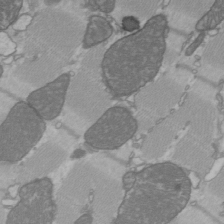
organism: C57BL Mouse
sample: Heart